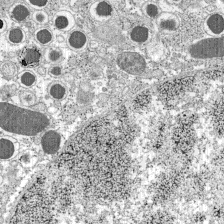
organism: C57BL Mouse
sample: Pancreatic islet